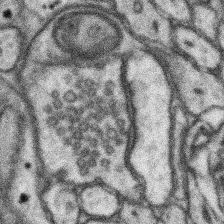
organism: Mouse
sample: Somatosensory cortex neuropil